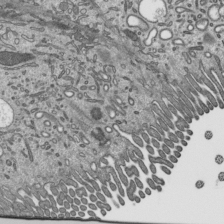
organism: Mouse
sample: Mouse epididymis efferent ductule cilia